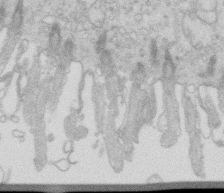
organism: Mouse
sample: Multiciliated cells